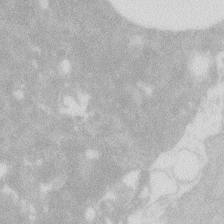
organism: Zebrafish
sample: Macrophage